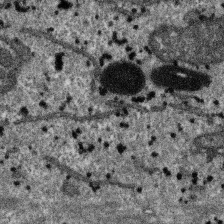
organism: Human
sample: Lung epithelial cells infected with SARS-CoV-2